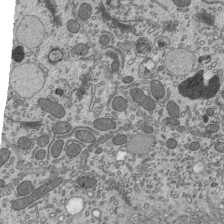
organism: Mouse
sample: Mouse epididymis efferent ductule cilia